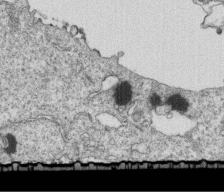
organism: Human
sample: HeLa cell HIV synapse